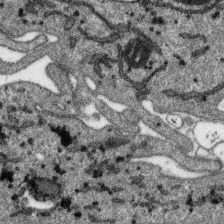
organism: Human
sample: Lung epithelial cells infected with SARS-CoV-2